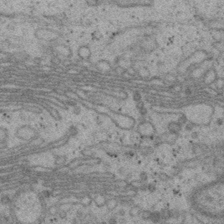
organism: Human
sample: HeLa cells